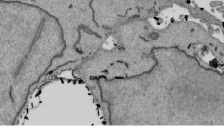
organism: Mouse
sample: ED-1 cell nuclei; centrioles